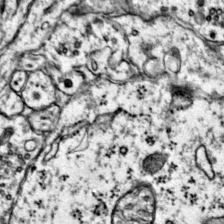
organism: Mouse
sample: Primary visual cortex